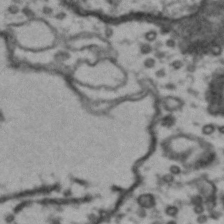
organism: Drosophila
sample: Brain